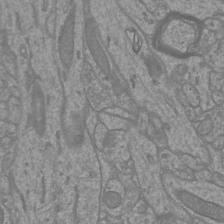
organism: Mouse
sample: Cortical neurons